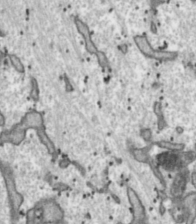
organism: Toxoplasma gondii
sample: Parasites in a vacuole inside a host cell